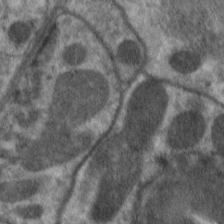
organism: C. elegans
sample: Pharynx